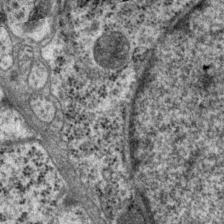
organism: P. pacificus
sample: Pharynx